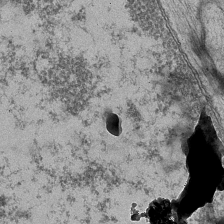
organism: Mouse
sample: CA1 Hippocampus